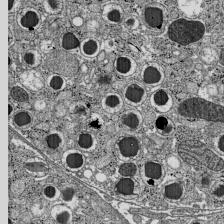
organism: C57BL Mouse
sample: Pancreatic islet